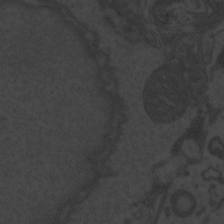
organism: Zebrafish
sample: Macrophage infected with Toxoplasma gondii